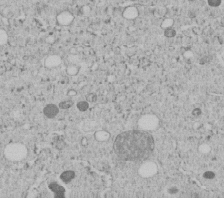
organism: C. elegans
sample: C. elegans embryo early stage